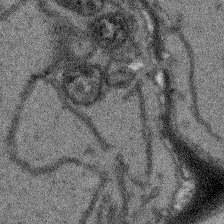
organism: Arabidopsis thaliana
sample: Root tip